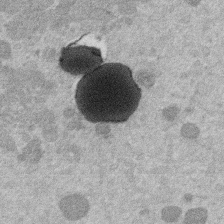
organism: Mouse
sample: Dividing mouse embryo 1 cell stage